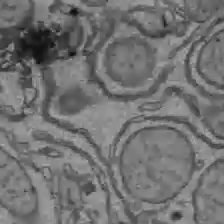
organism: C57BL Mouse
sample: Liver